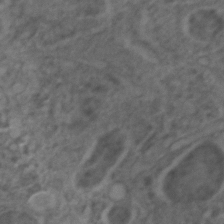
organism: C. elegans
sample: C. elegans embryo